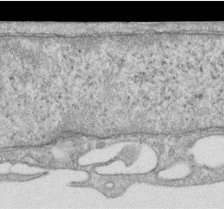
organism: Human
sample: Centriole in RPE cells